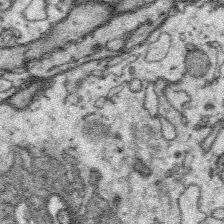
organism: Platynereis dumerilii